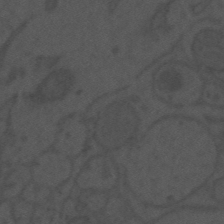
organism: Mouse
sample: Suprachiasmatic nucleus